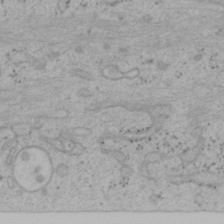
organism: Human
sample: HeLa cells